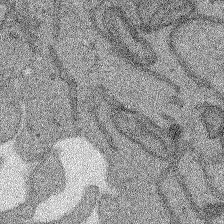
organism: Human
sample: HeLa cells